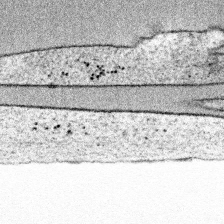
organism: Human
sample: HeLa cells